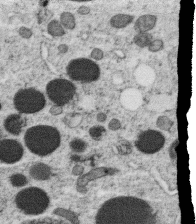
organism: C. elegans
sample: C. elegans oocyte; sperm cells